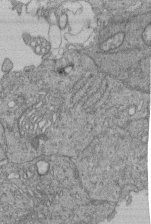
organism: Human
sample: Retinal organoid Rod and Cone cells